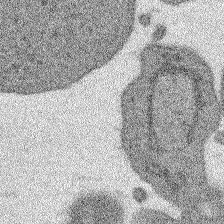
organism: Human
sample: HeLa cells